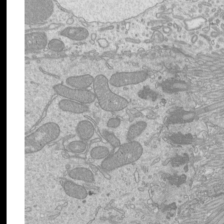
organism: Mouse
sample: Cilia; mouse epididymis